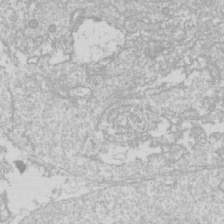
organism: Drosophila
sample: Cell division; meiosis; drosophila spermatocytes